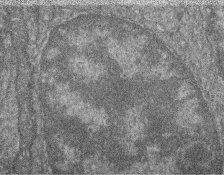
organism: Zebrafish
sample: Cilia; retinal pigment epithelium